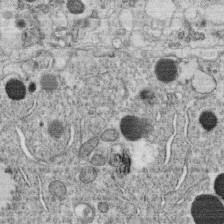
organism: C. elegans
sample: C. elegans oocyte; sperm cells